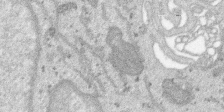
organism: Human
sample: Lung epithelial cells infected with SARS-CoV-2